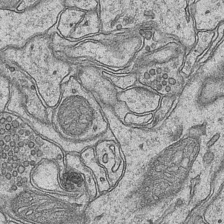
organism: Mouse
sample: CA1 Hippocampus